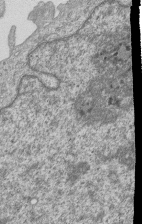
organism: Human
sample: MDA-MB-231 cells